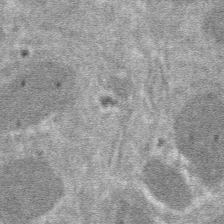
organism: Mouse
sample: Mouse hepatocytes